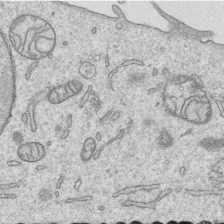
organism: Human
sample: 1205lu cells